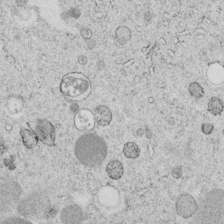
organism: C. elegans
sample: C. elegans embryo early stage